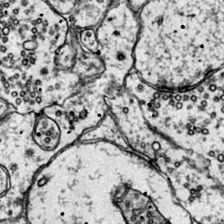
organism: Mouse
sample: Primary visual cortex